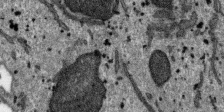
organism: Human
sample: Lung epithelial cells, uninfected (mock) control